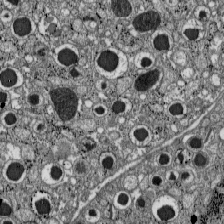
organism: C57BL Mouse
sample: Pancreatic islet